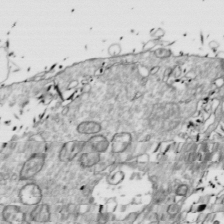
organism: Drosophila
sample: Cell division; meiosis; drosophila spermatocytes